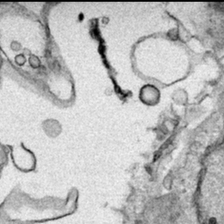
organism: Human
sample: Mitochondria in HCT116 cells